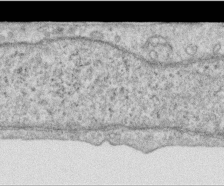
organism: Human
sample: Centriole in RPE cells